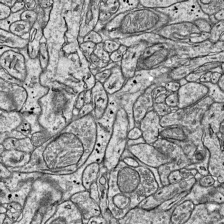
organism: Mouse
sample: Visual Cortex